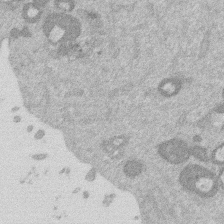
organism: Mouse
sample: Dividing mouse embryo 1 cell stage